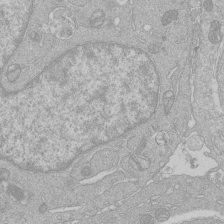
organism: Human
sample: Macrophage cells